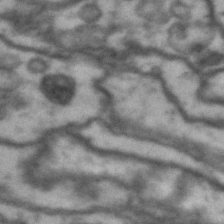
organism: Drosophila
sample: Brain